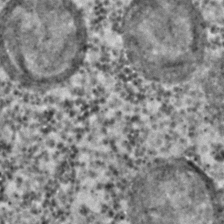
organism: C. elegans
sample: C. elegans embryo